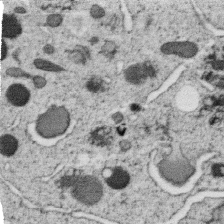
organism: C. elegans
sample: C. elegans oocyte; sperm cells